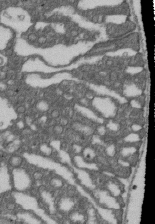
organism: Drosophila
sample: Nephrocyte